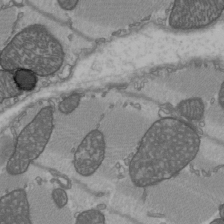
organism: C57BL Mouse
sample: Heart